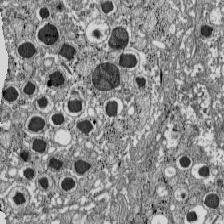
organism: C57BL Mouse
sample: Pancreatic islet